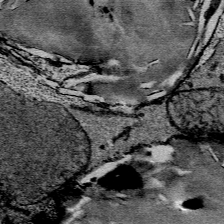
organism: Mouse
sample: Mouse Salivary gland